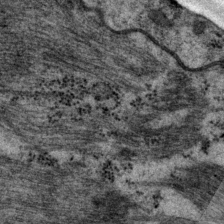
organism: P. pacificus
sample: Pharynx